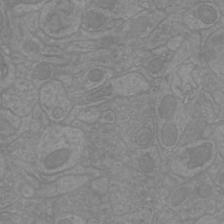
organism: Mouse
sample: Cortical neurons